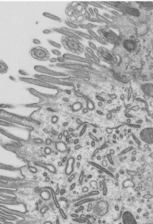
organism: Mouse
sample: Mouse epididymis efferent ductule cilia